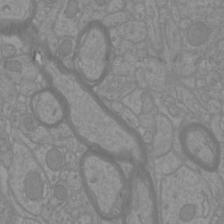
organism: Mouse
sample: Cortical neurons